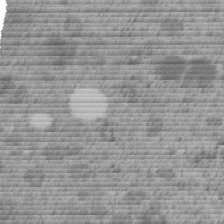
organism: C. elegans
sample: C. elegans embryo early stage